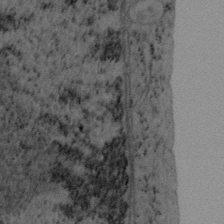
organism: Human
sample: HeLa cells